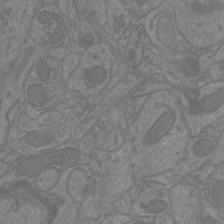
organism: Mouse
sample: Cortical neurons